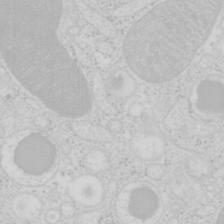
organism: Mouse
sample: Pancreas